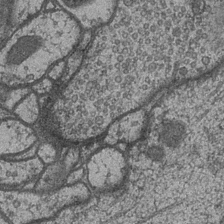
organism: Drosophila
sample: Optic medulla